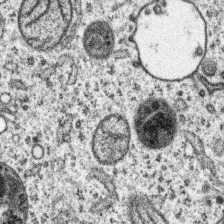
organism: Human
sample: HeLa cells